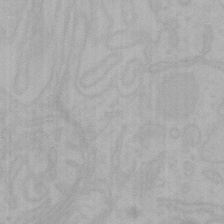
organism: Mouse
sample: Choroid plexus